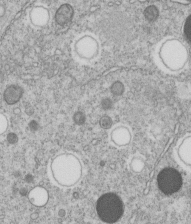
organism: C. elegans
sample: C. elegans embryo early stage